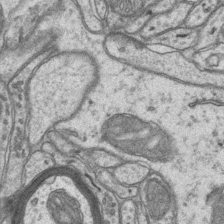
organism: Mouse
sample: CA1 Hippocampus